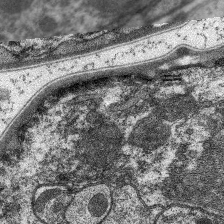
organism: C. elegans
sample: Pharynx